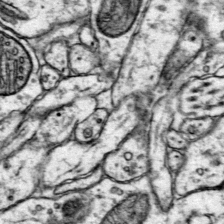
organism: Mouse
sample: Primary visual cortex